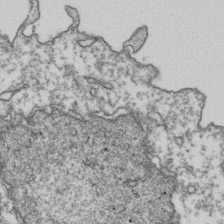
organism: Human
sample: Activated Jurkat CD4+ T cells